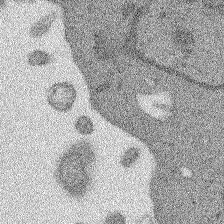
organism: Human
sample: HeLa cells